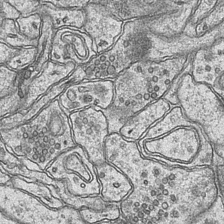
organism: Mouse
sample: CA1 Hippocampus